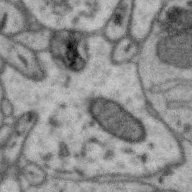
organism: Zebra finch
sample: Brain